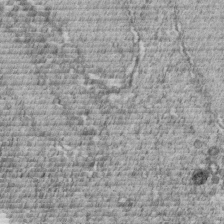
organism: C. elegans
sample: C. elegans embryo early stage